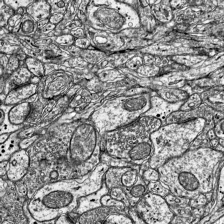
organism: Mouse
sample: Visual Cortex